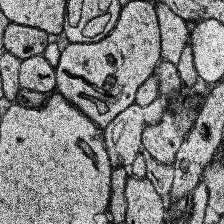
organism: Human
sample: Temporal Lobe